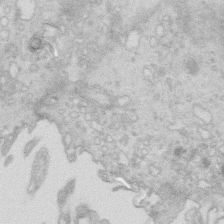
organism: Mouse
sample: Multiciliated cells